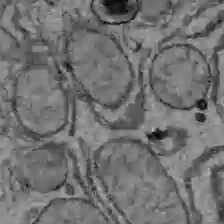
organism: C57BL Mouse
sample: Liver